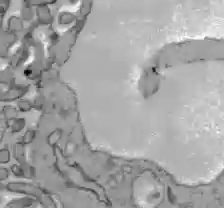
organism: C57BL Mouse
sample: Liver